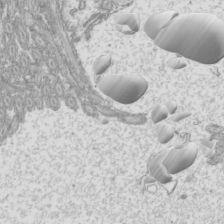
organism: Mouse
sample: Cilia; mouse epididymis